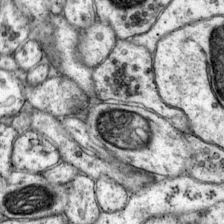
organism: Mouse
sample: Primary visual cortex